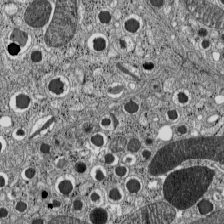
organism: C57BL Mouse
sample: Pancreatic islet